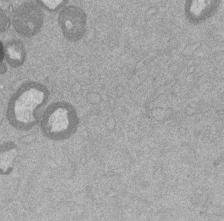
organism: Mouse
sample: Dividing mouse embryo 1 cell stage